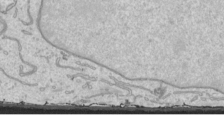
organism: Human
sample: Mitochondria in HCT116 cells